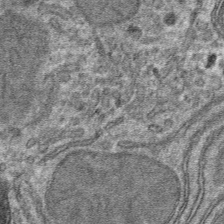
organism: Mouse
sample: Mouse hepatocytes